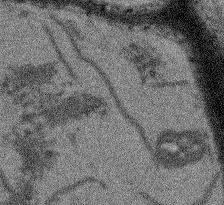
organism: Arabidopsis thaliana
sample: Root tip